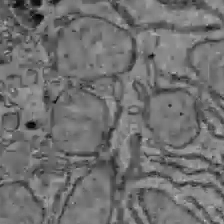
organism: C57BL Mouse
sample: Liver